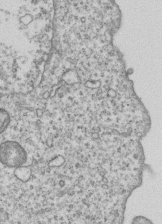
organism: Human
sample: MDA-MB-231 cells